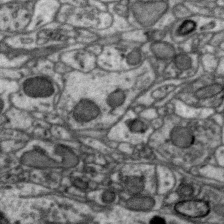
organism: Zebra finch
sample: Brain